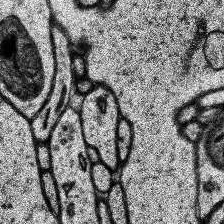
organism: Human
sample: Temporal Lobe